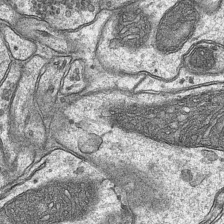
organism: Mouse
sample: CA1 Hippocampus